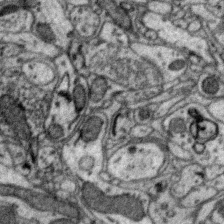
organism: Zebra finch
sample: Brain